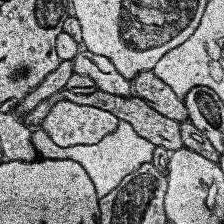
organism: Human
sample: Temporal Lobe